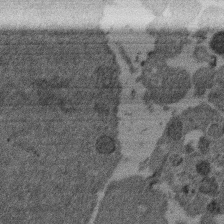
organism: Mouse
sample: Dividing mouse embryo 1 cell stage